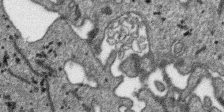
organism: Human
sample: Lung epithelial cells infected with SARS-CoV-2